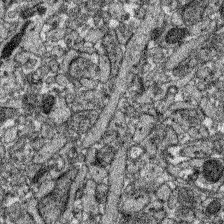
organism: Zebrafish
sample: Larval olfactory bulb